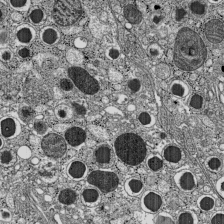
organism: C57BL Mouse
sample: Pancreatic islet